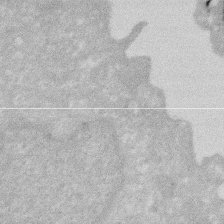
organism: Human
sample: HIV infected U937 cells